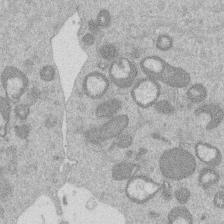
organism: Mouse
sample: Dividing mouse embryo 1 cell stage